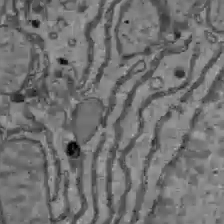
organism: C57BL Mouse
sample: Liver